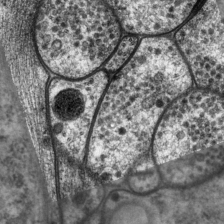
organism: P. pacificus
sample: Pharynx